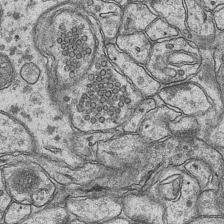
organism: Mouse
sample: CA1 Hippocampus